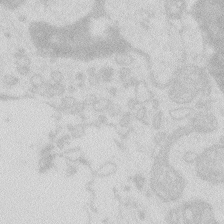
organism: Zebrafish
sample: Macrophage